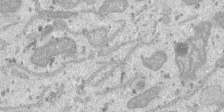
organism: Human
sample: Lung epithelial cells infected with SARS-CoV-2